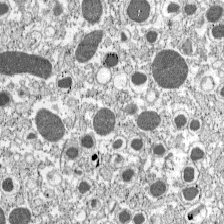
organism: C57BL Mouse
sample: Pancreatic islet